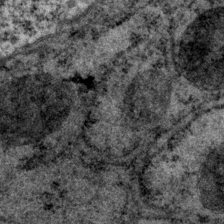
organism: P. pacificus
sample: Pharynx